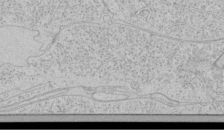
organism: Human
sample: Mitochondria in HCT116 cells